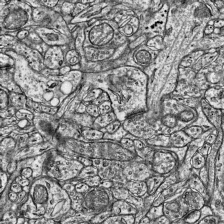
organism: Mouse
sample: Visual Cortex